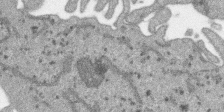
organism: Human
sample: Lung epithelial cells infected with SARS-CoV-2